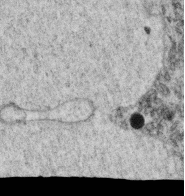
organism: C. elegans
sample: C. elegans oocyte; sperm cells